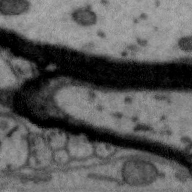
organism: Zebra finch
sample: Brain